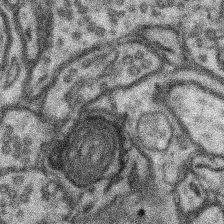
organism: Mouse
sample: Somatosensory cortex neuropil